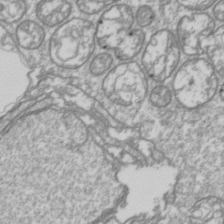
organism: Drosophila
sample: Cell division; meiosis; drosophila spermatocytes